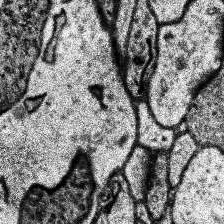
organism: Human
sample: Temporal Lobe